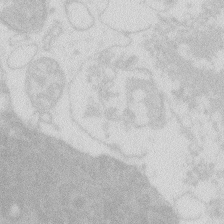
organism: Zebrafish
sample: Macrophage